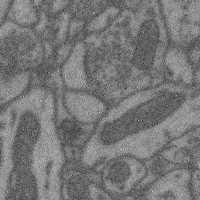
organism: Mouse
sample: Cerebral cortex